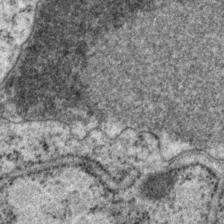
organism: P. pacificus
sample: Pharynx